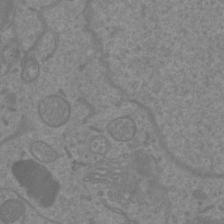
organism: Mouse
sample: Cortical neurons